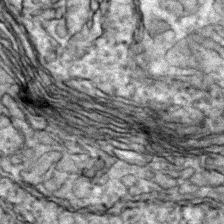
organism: Zebrafish